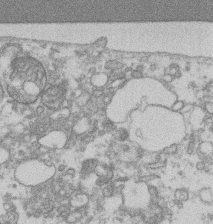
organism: Mouse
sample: T cell stromal cell synapse